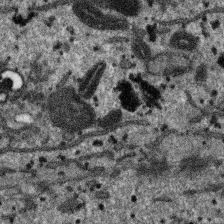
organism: Human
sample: Lung epithelial cells infected with SARS-CoV-2